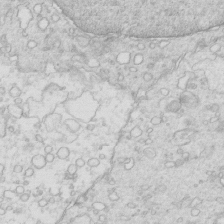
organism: Mouse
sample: Multiciliated cells